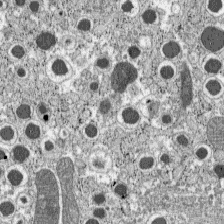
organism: C57BL Mouse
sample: Pancreatic islet